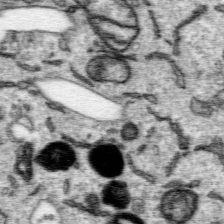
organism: Human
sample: HeLa cells